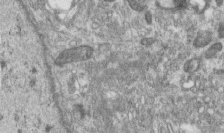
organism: Human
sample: Centriole in RPE cells